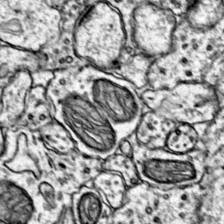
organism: Mouse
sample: Primary visual cortex